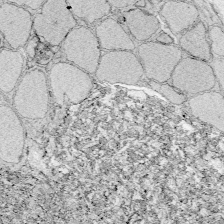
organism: Zebrafish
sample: Whole-Brain